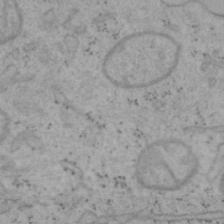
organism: Human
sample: HeLa cells